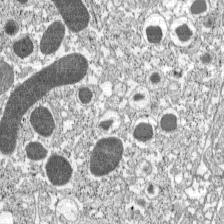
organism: C57BL Mouse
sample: Pancreatic islet